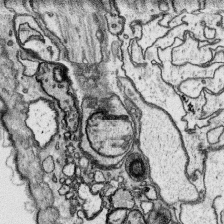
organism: Platynereis dumerilii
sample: Parapodia